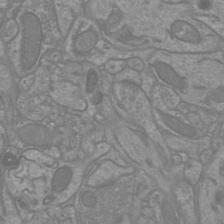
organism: Mouse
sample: Cortical neurons